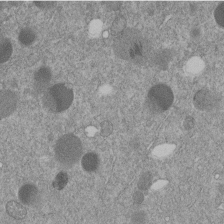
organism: C. elegans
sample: C. elegans embryo early stage